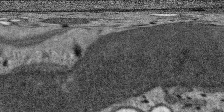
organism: Human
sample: Lung epithelial cells infected with SARS-CoV-2